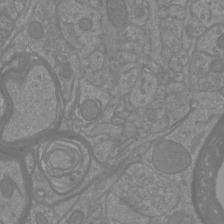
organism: Mouse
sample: Cortical neurons